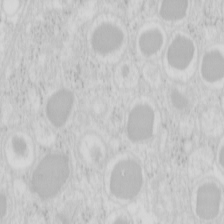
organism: Mouse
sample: Pancreas